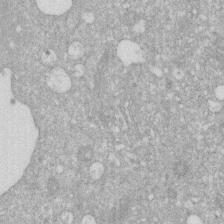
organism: Human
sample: HIV infected U937 cells